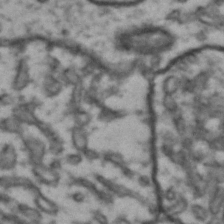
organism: Drosophila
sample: Brain